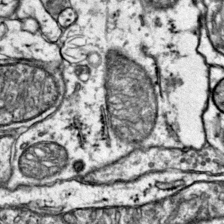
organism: Mouse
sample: Primary visual cortex